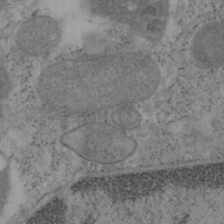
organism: Mouse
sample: OT-I killer T cells with ID8 ovarian cancer cells